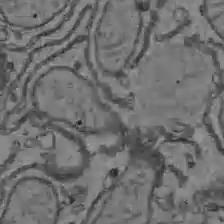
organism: C57BL Mouse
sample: Liver